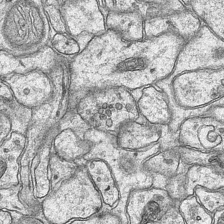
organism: Mouse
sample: CA1 Hippocampus